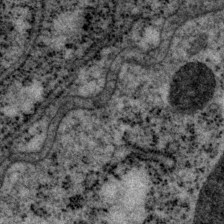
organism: P. pacificus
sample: Pharynx